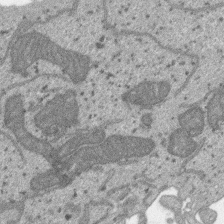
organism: Human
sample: Lung epithelial cells infected with SARS-CoV-2